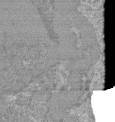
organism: Mouse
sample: Glomerulus